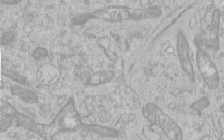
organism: Human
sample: Centriole in RPE cells